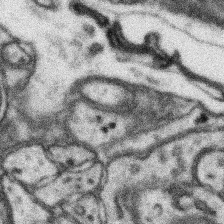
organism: Mouse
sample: Somatosensory cortex neuropil